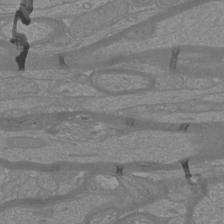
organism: Mouse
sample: Cortical neurons